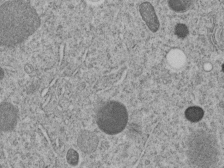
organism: C. elegans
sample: C. elegans embryo early stage